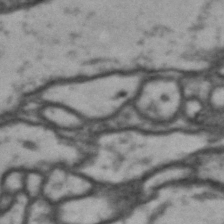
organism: Drosophila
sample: Brain